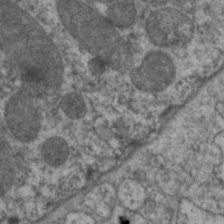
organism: C. elegans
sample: Pharynx